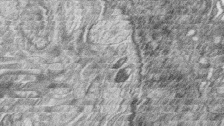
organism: Zebrafish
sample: synaptic ribbons in rod cells and cone cells